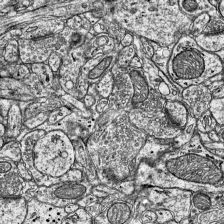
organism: Mouse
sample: Visual Cortex